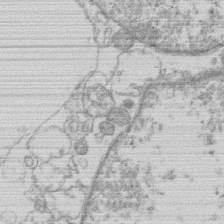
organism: Human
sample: Macrophage cells